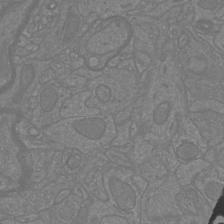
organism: Mouse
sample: Cortical neurons